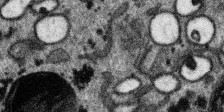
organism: Human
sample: Lung epithelial cells infected with SARS-CoV-2